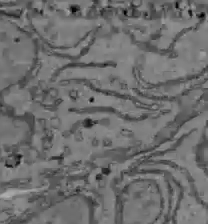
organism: C57BL Mouse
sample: Liver